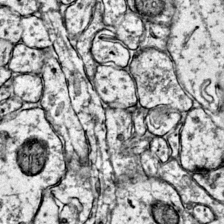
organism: Mouse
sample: Primary visual cortex